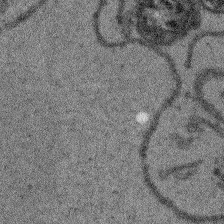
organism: Arabidopsis thaliana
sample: Root tip